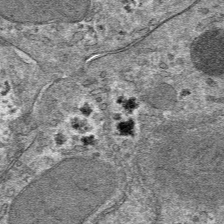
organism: Mouse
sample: Mouse hepatocytes